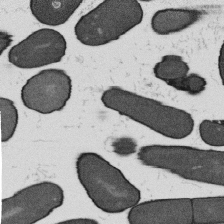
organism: B. subtilis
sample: Bacterial spore